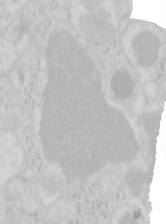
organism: Mouse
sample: Pancreas